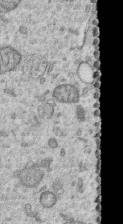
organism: Human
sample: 1205lu cells